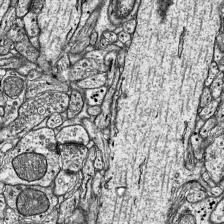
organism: Mouse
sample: Visual Cortex